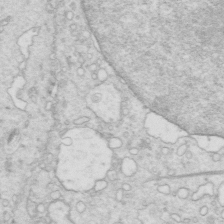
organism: Mouse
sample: Multiciliated cells